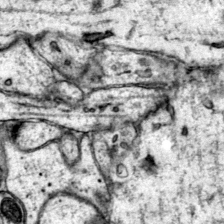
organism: Mouse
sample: Primary visual cortex